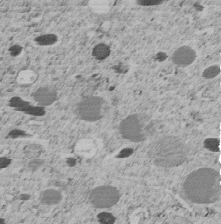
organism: C. elegans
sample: C. elegans embryo early stage